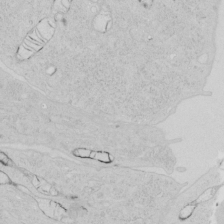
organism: Human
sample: Mitochondria in HCT116 cells